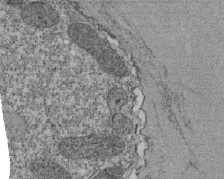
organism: Tetrahymena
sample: Cilia in tetrahymena